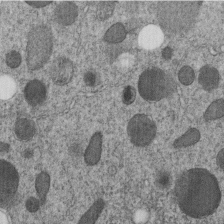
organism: C. elegans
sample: C. elegans embryo early stage